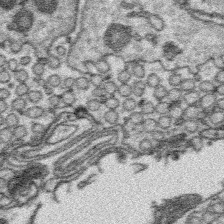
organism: Platynereis dumerilii